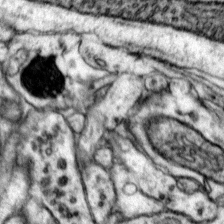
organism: Mouse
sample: Primary visual cortex